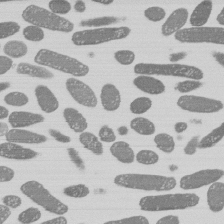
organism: E. coli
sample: Bacterial nucleoid